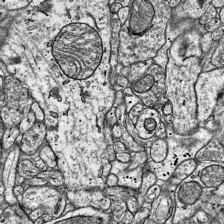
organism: Mouse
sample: Visual Cortex